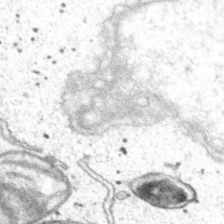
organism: Human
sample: HeLa cells